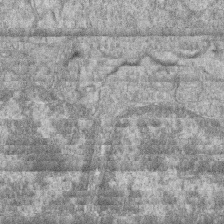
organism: Zebrafish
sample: Cilia; retinal pigment epithelium